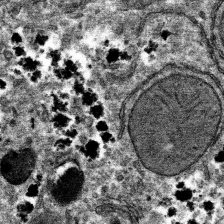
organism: Mouse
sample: Mouse hepatocytes